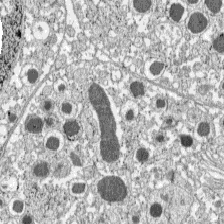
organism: C57BL Mouse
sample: Pancreatic islet